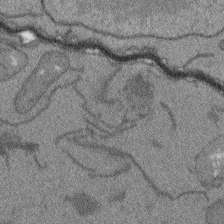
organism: Arabidopsis thaliana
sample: Root tip